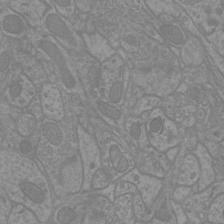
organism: Mouse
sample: Cortical neurons